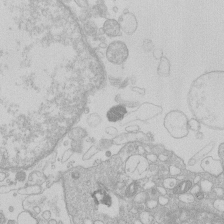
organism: Human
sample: Macrophage cells